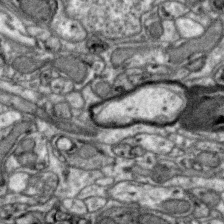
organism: Zebra finch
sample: Brain